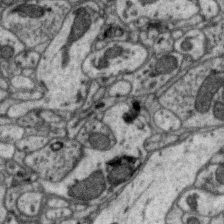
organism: Zebra finch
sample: Brain